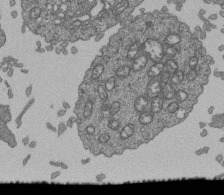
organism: Human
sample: Retinal organoid Rod and Cone cells